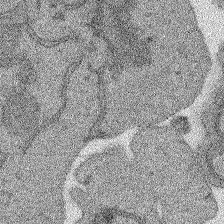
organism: Human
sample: HeLa cells